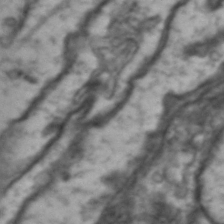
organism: Drosophila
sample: Brain